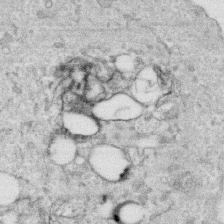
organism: Human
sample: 1205lu cells